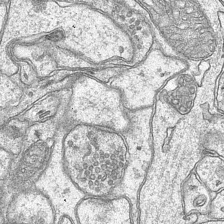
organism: Mouse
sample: CA1 Hippocampus